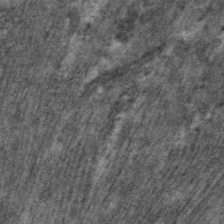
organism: C. elegans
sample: Pharynx